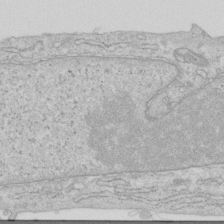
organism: Human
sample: Centriole in RPE cells